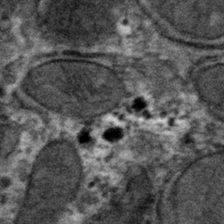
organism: Mouse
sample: Mouse hepatocytes